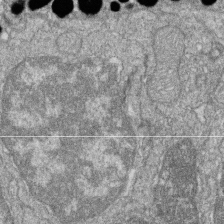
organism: Zebrafish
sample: Cilia; retinal pigment epithelium